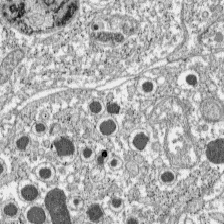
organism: C57BL Mouse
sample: Pancreatic islet